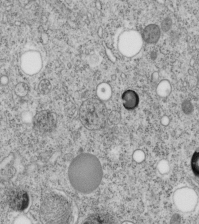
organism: C. elegans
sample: C. elegans embryo early stage